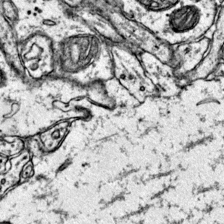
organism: Mouse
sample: Primary visual cortex